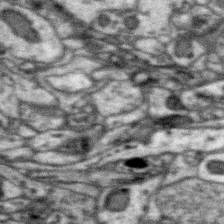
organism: Zebra finch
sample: Brain